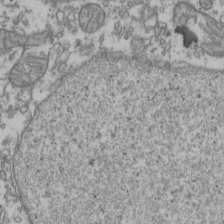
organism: Human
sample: Activated Jurkat CD4+ T cells